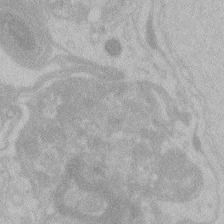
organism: Zebrafish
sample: Macrophage infected with Toxoplasma gondii